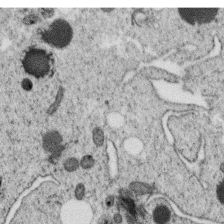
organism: C. elegans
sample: C. elegans oocyte; sperm cells